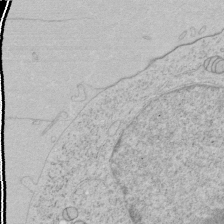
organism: Human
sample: Mitochondria in HCT116 cells